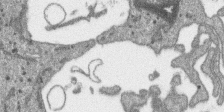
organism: Human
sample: Lung epithelial cells infected with SARS-CoV-2